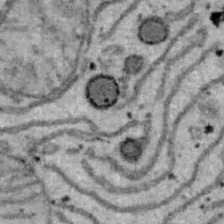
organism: Mouse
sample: Liver from an obese (ob/ob) mouse